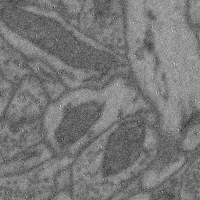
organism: Mouse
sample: Cerebral cortex